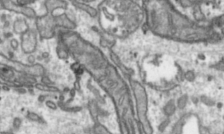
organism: Toxoplasma gondii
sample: Parasites in a vacuole inside a host cell